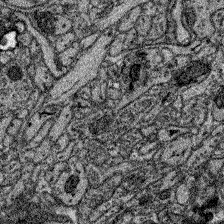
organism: Zebrafish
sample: Larval olfactory bulb